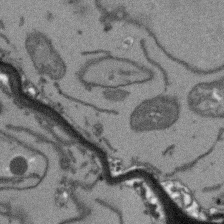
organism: Arabidopsis thaliana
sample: Root tip